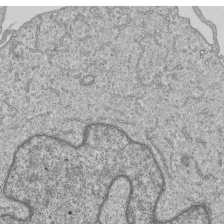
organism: Human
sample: MDA-MB-231 cells